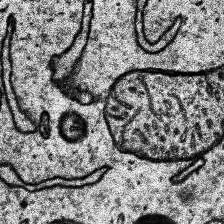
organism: Human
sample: Temporal Lobe